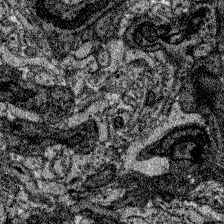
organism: Zebrafish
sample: Larval olfactory bulb